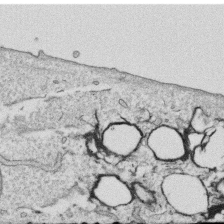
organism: Human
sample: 1205lu cells